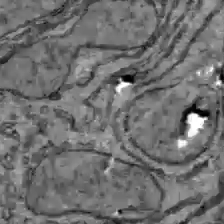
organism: C57BL Mouse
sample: Liver